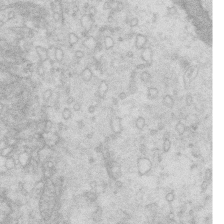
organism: Mouse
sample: Multiciliated cells